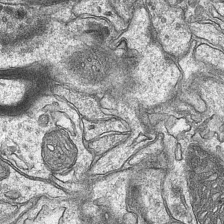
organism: Mouse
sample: CA1 Hippocampus